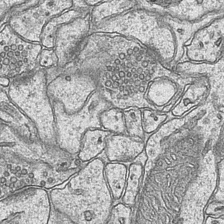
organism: Mouse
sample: CA1 Hippocampus